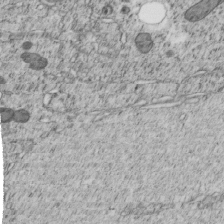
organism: C. elegans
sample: C. elegans embryo early stage